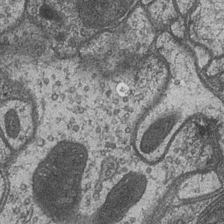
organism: Drosophila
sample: Optic medulla